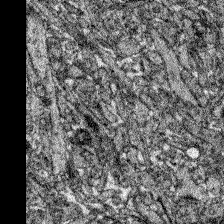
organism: Zebrafish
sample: Larval olfactory bulb